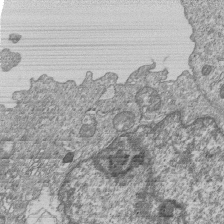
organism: Human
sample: MDA-MB-231 cells